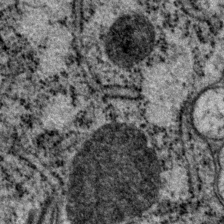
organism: P. pacificus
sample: Pharynx